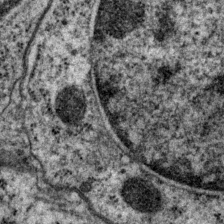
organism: P. pacificus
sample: Pharynx